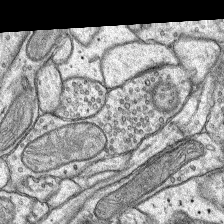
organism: Rat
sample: Hippocampus